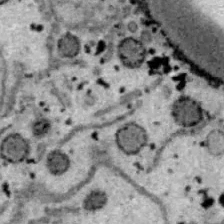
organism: Mouse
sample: Liver from an obese (ob/ob) mouse